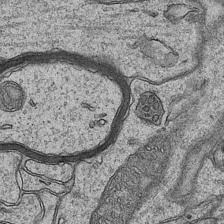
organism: Mouse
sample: CA1 Hippocampus